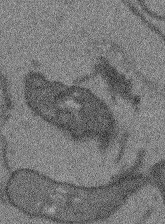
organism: Arabidopsis thaliana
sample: Root tip